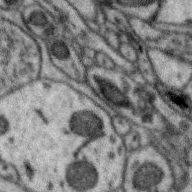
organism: Zebra finch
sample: Brain